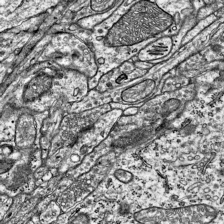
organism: Mouse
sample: Visual Cortex